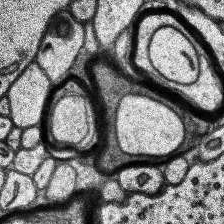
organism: Human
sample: Temporal Lobe